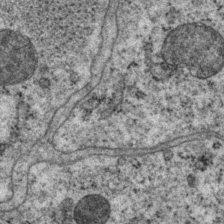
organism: P. pacificus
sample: Pharynx